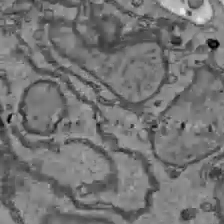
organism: C57BL Mouse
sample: Liver